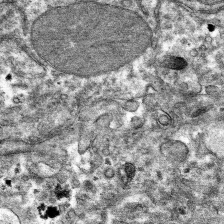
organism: Mouse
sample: Mouse hepatocytes